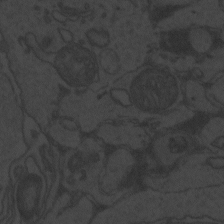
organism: Zebrafish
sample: Macrophage infected with Toxoplasma gondii